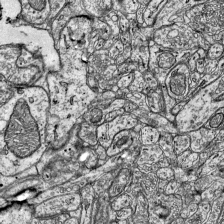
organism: Mouse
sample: Visual Cortex